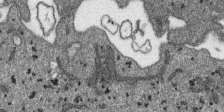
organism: Human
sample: Lung epithelial cells infected with SARS-CoV-2